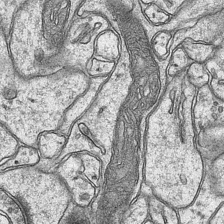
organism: Mouse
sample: CA1 Hippocampus